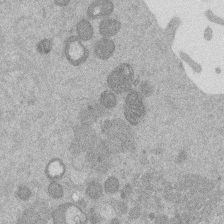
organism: Mouse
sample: Dividing mouse embryo 1 cell stage